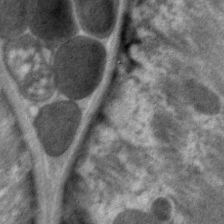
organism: C. elegans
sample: Pharynx